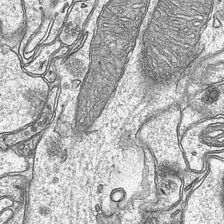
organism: Mouse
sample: CA1 Hippocampus